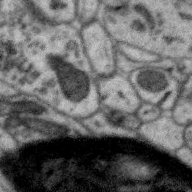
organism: Zebra finch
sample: Brain